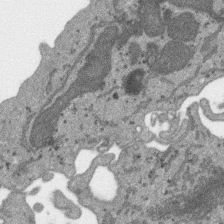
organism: Human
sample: Lung epithelial cells infected with SARS-CoV-2